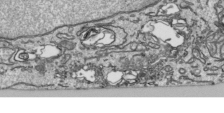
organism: Human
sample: Mitochondria in HCT116 cells